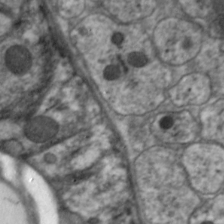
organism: C. elegans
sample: Pharynx